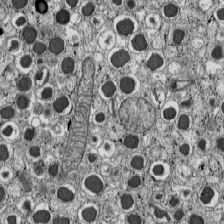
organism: C57BL Mouse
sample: Pancreatic islet